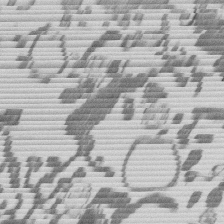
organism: Mouse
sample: Dividing mouse embryo 1 cell stage